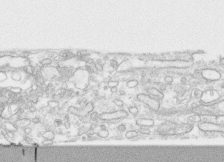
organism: Human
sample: CRL-1474